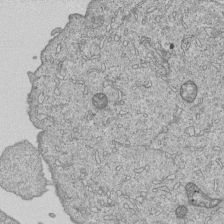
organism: Human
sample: MDA-MB-231 cells